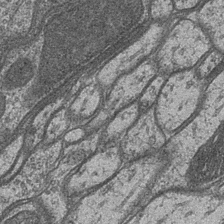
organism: Drosophila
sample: Optic medulla